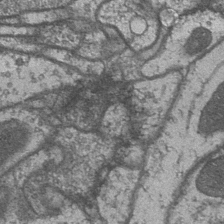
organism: Drosophila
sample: Optic medulla